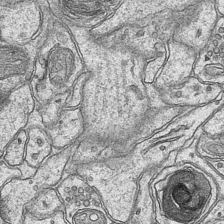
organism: Mouse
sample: CA1 Hippocampus